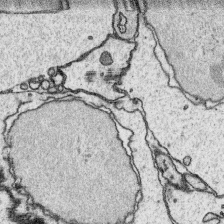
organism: Platynereis dumerilii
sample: Parapodia